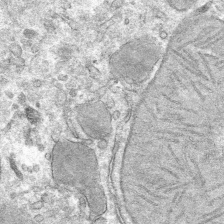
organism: Mouse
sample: Mouse hepatocytes